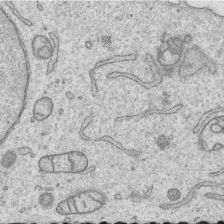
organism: Human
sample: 1205lu cells